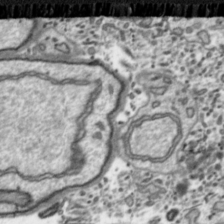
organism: Toxoplasma gondii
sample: Parasites in a vacuole inside a host cell